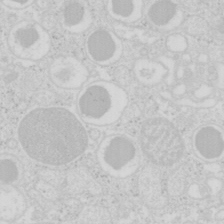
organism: Mouse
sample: Pancreas